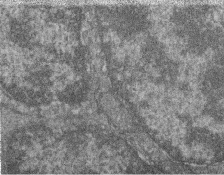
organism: Zebrafish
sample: Cilia; retinal pigment epithelium